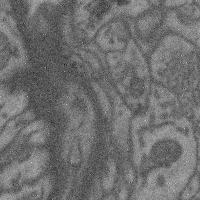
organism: Mouse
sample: Cerebral cortex